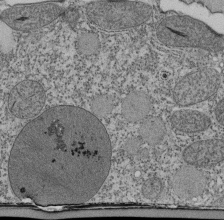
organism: Tetrahymena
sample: Cilia in tetrahymena